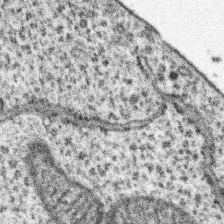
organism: Human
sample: HeLa cells